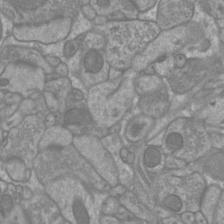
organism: Mouse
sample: Cortical neurons